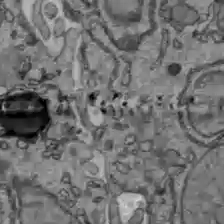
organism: C57BL Mouse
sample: Liver